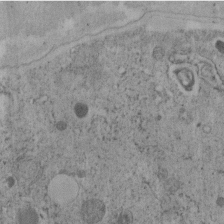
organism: C. elegans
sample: C. elegans embryo early stage